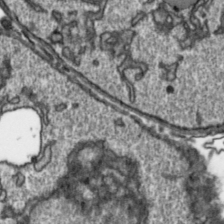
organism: Toxoplasma gondii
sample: Parasites in a vacuole inside a host cell